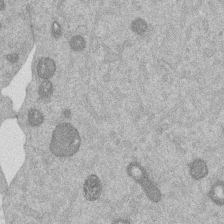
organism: Mouse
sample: Dividing mouse embryo 1 cell stage